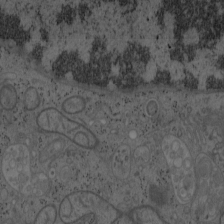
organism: Mouse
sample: OT-I killer T cells with ID8 ovarian cancer cells